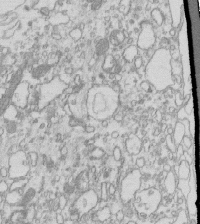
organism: Mouse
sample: Macrophages